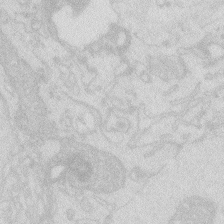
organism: Zebrafish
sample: Macrophage